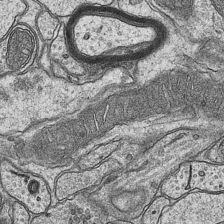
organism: Mouse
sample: CA1 Hippocampus